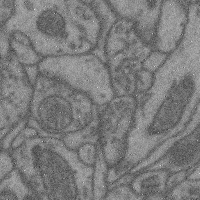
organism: Mouse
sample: Cerebral cortex